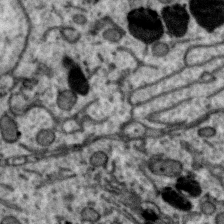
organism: Zebra finch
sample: Brain